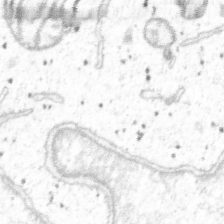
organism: Human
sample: HeLa cells